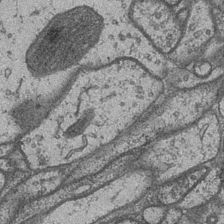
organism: Drosophila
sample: Optic medulla